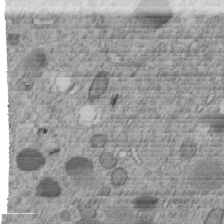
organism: C. elegans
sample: C. elegans embryo early stage